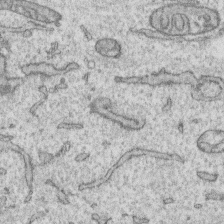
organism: Human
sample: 1205lu cells